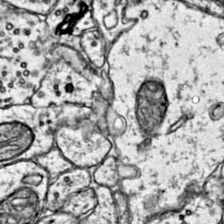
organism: Mouse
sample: Primary visual cortex